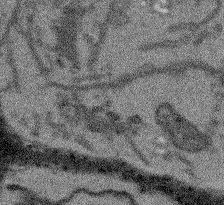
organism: Arabidopsis thaliana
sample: Root tip